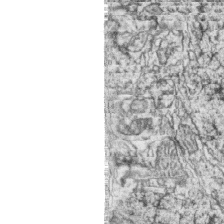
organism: Zebrafish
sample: synaptic ribbons in rod cells and cone cells